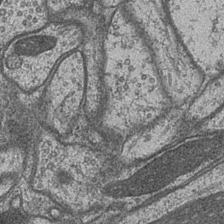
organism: Drosophila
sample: Optic medulla